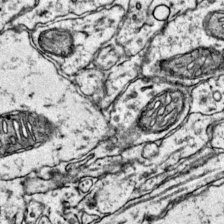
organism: Mouse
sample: Primary visual cortex